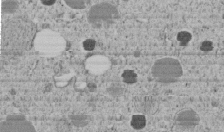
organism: C. elegans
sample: C. elegans embryo early stage